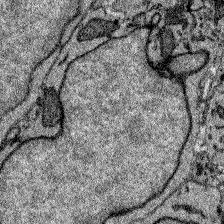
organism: Zebrafish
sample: Larval olfactory bulb